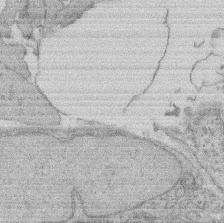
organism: Rat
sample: Salivary granule